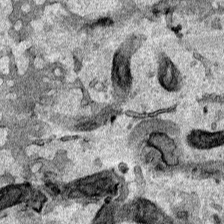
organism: Human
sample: Mitochondria in HCT116 cells